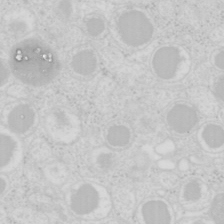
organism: Mouse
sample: Pancreas